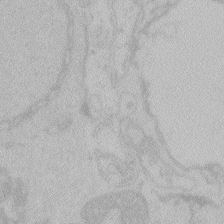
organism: Zebrafish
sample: Macrophage infected with Toxoplasma gondii